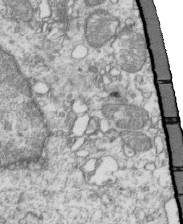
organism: Mouse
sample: Activated OT-1 CD8+ T cells